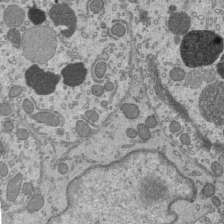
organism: Mouse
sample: Mouse epididymis efferent ductule cilia